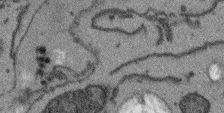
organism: Arabidopsis thaliana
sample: Root tip